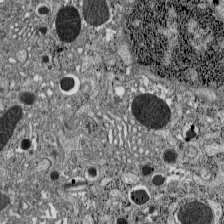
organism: C57BL Mouse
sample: Pancreatic islet